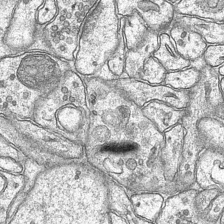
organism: Mouse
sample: CA1 Hippocampus